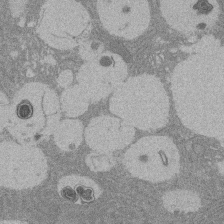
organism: Rat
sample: Salivary granule